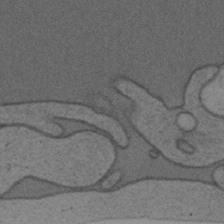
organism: Human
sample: HeLa cells